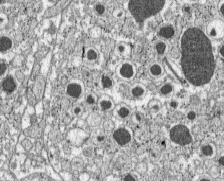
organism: C57BL Mouse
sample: Pancreatic islet